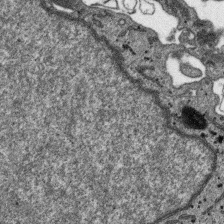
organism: Human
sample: Lung epithelial cells infected with SARS-CoV-2